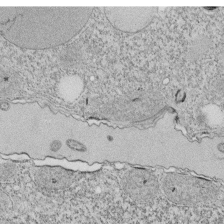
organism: Tetrahymena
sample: Cilia in tetrahymena